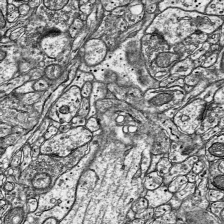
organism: Mouse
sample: Visual Cortex